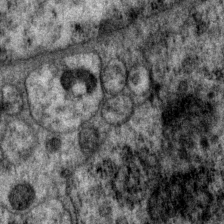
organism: P. pacificus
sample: Pharynx